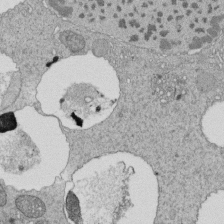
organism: Tetrahymena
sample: Cilia in tetrahymena